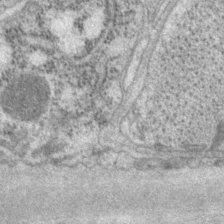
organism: P. pacificus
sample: Pharynx